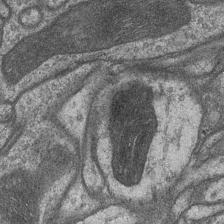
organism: Drosophila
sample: Optic medulla